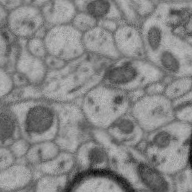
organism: Zebra finch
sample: Brain